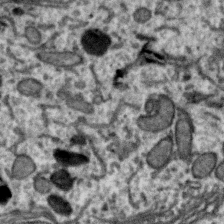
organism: Zebra finch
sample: Brain